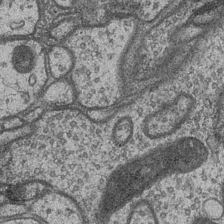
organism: Drosophila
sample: Optic medulla